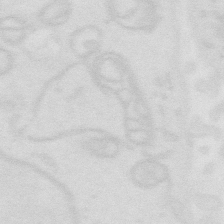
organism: Human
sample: HeLa cells